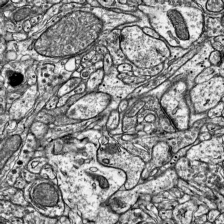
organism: Mouse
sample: Visual Cortex